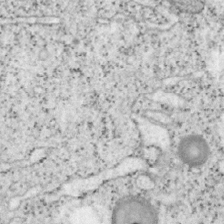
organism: Mouse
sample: OT-I killer T cells with ID8 ovarian cancer cells